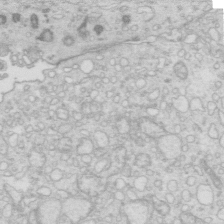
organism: Mouse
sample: Multiciliated cells